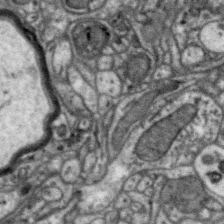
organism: Zebra finch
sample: Brain